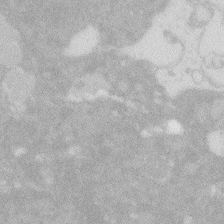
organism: Zebrafish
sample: Macrophage